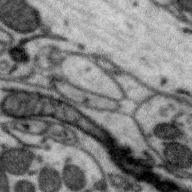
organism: Zebra finch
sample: Brain